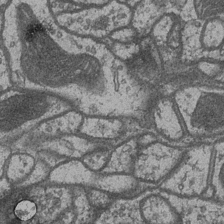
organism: Drosophila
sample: Optic medulla